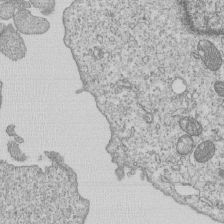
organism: Human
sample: MDA-MB-231 cells